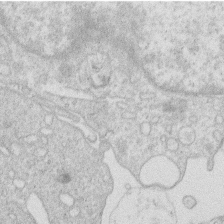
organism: Human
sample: Macrophage cells